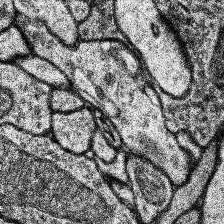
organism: Human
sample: Temporal Lobe